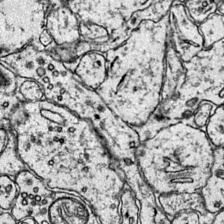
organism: Mouse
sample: Primary visual cortex